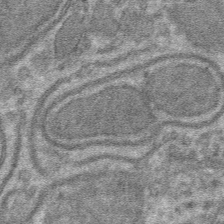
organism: Mouse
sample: Mouse hepatocytes